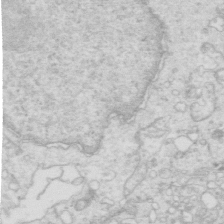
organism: Mouse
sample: Multiciliated cells